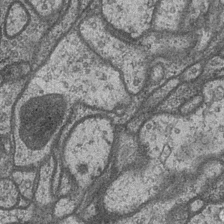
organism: Drosophila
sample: Optic medulla